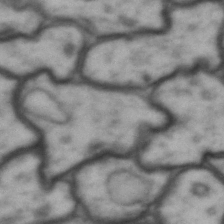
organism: Drosophila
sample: Brain